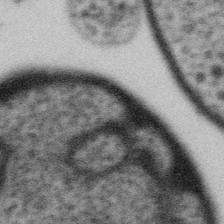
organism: Gemmata obscuriglobus